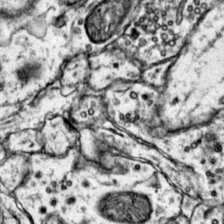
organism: Mouse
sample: Primary visual cortex